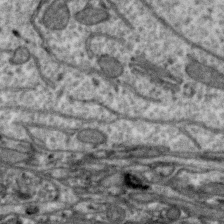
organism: Zebra finch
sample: Brain